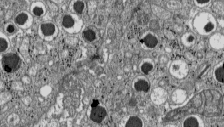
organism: C57BL Mouse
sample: Pancreatic islet